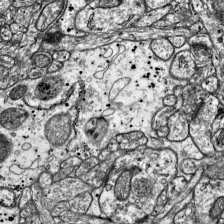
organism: Mouse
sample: Visual Cortex